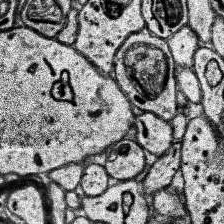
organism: Human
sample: Temporal Lobe